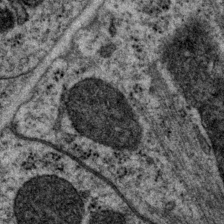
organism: P. pacificus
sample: Pharynx